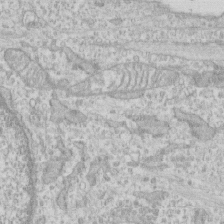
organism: Human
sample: CRL-1474